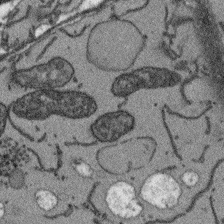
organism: Arabidopsis thaliana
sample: Root tip